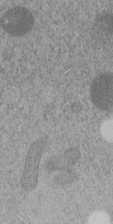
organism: C. elegans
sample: C. elegans embryo early stage